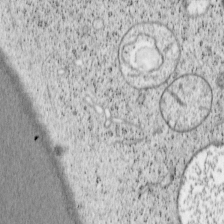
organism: African green monkey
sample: COS-7 cells